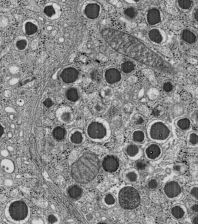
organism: C57BL Mouse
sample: Pancreatic islet